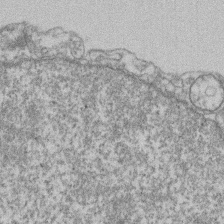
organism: Mouse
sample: T cell stromal cell synapse